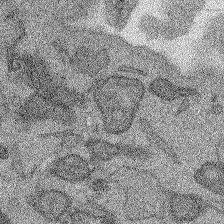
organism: Human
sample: HeLa cells